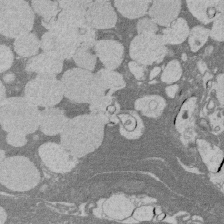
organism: Rat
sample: Salivary granule